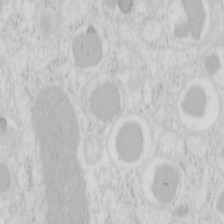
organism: Mouse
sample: Pancreas